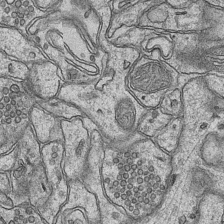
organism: Mouse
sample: CA1 Hippocampus